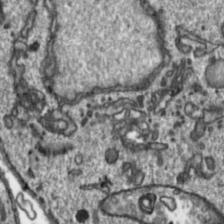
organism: Toxoplasma gondii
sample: Parasites in a vacuole inside a host cell